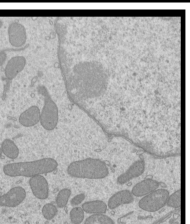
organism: Mouse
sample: Cilia; mouse epididymis